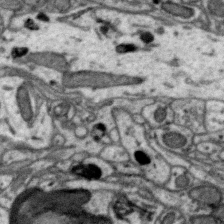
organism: Zebra finch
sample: Brain